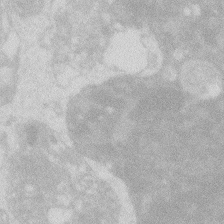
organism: Zebrafish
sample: Macrophage